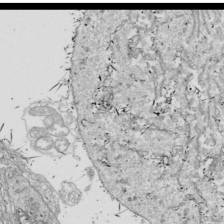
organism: Drosophila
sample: Cell division; meiosis; drosophila spermatocytes